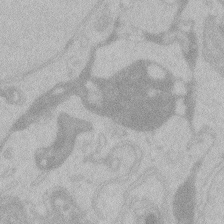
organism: Zebrafish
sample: Macrophage infected with Toxoplasma gondii